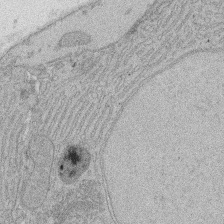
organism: Rat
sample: Salivary granule